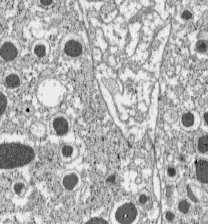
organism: C57BL Mouse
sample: Pancreatic islet